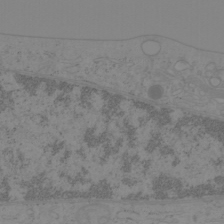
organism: Human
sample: HeLa cells